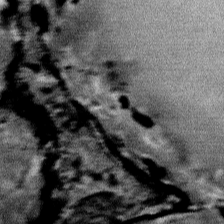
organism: Mouse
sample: Mouse Salivary gland